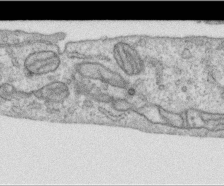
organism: Human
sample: Centriole in RPE cells